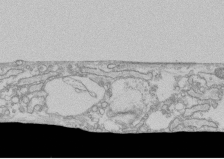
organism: Human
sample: CRL-1474